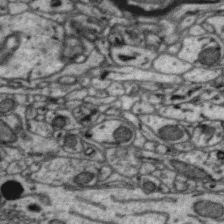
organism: Zebra finch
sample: Brain